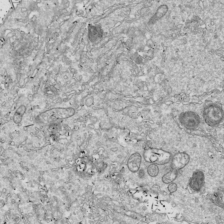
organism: Drosophila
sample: Cell division; meiosis; drosophila spermatocytes